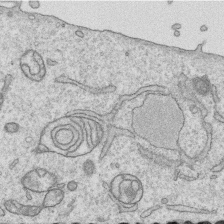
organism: Human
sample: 1205lu cells